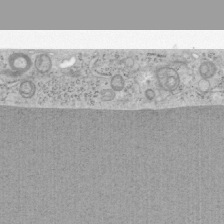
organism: Human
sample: HeLa cells